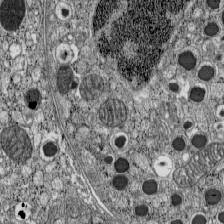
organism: C57BL Mouse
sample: Pancreatic islet